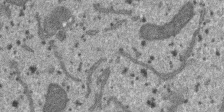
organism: Human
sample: Lung epithelial cells infected with SARS-CoV-2